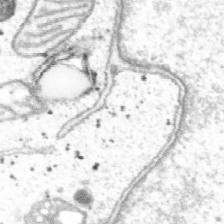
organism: Human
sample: HeLa cells